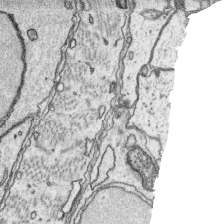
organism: Platynereis dumerilii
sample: Parapodia